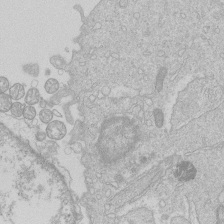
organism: Human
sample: Macrophage cells